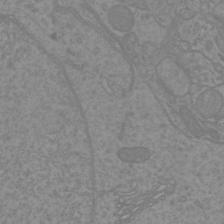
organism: Mouse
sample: Cortical neurons